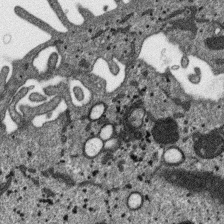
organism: Human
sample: Lung epithelial cells infected with SARS-CoV-2